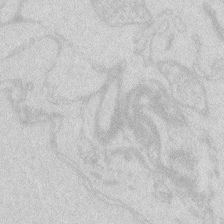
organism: Zebrafish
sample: Macrophage